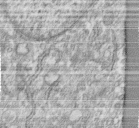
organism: Human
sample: Centriole in fibroblast cells